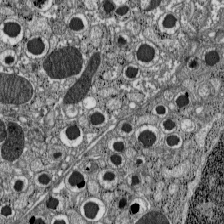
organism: C57BL Mouse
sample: Pancreatic islet